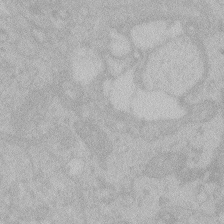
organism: Zebrafish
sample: Macrophage infected with Toxoplasma gondii